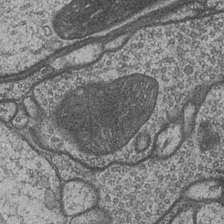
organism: Drosophila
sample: Optic medulla